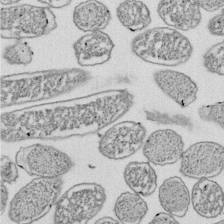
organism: E. coli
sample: Bacterial nucleoid